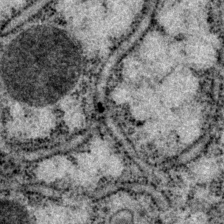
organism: P. pacificus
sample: Pharynx